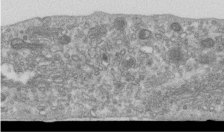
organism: Human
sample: Centriole in RPE cells